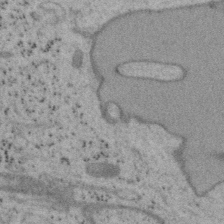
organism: Human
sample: HeLa cells